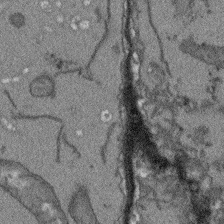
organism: Arabidopsis thaliana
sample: Root tip